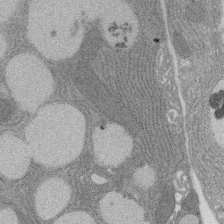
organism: Rat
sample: Salivary granule